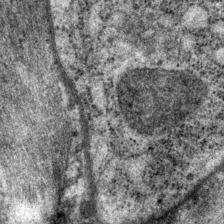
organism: P. pacificus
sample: Pharynx